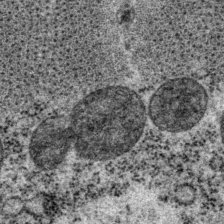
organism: P. pacificus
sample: Pharynx